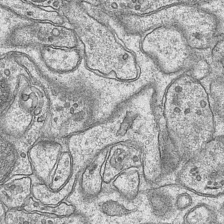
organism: Mouse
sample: CA1 Hippocampus